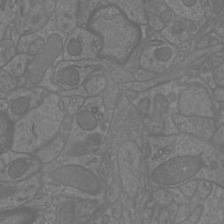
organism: Mouse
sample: Cortical neurons